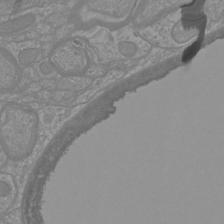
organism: Mouse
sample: Cortical neurons